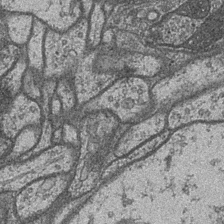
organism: Drosophila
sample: Optic medulla